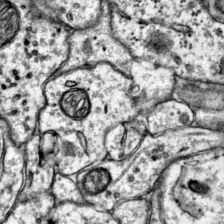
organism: Mouse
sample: Primary visual cortex